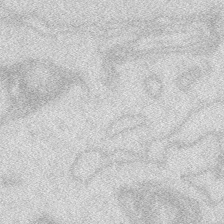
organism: Zebrafish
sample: Macrophage